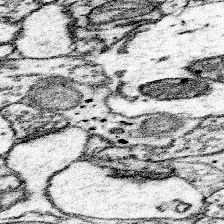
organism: Mouse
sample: Somatosensory cortex neuropil